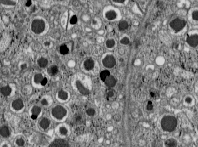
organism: C57BL Mouse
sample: Pancreatic islet